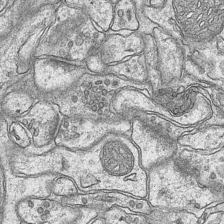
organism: Mouse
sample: CA1 Hippocampus